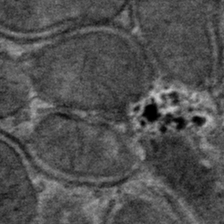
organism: Mouse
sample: Mouse hepatocytes